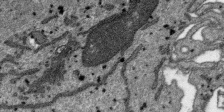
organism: Human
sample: Lung epithelial cells, uninfected (mock) control